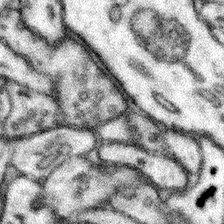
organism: Mouse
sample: Somatosensory cortex neuropil